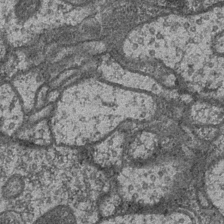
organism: Drosophila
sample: Optic medulla